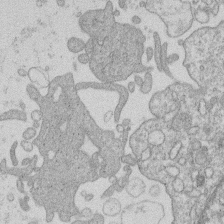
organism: Human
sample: Macrophage cells